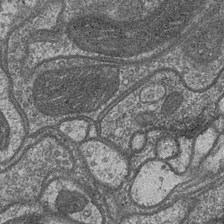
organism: Drosophila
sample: Optic medulla